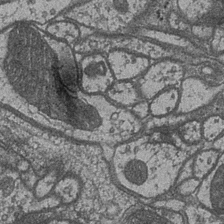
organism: Drosophila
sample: Optic medulla